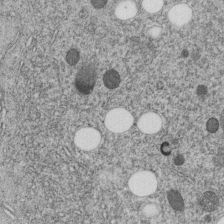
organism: C. elegans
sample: C. elegans embryo early stage